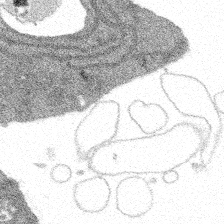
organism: Spongilla lacustris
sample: Multiple